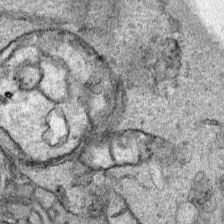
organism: Human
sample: Mitochondria in HCT116 cells